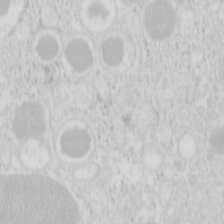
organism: Mouse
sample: Pancreas